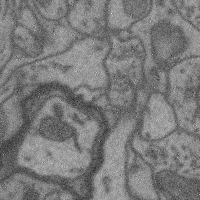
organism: Mouse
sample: Cerebral cortex